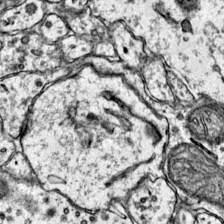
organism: Mouse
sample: Primary visual cortex